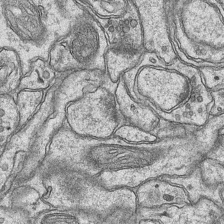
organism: Mouse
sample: CA1 Hippocampus